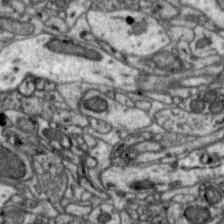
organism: Zebra finch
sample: Brain